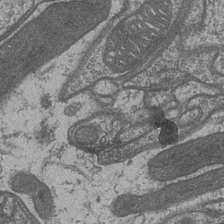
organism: Drosophila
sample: Optic medulla